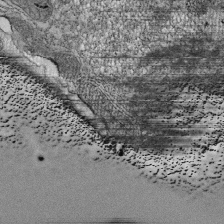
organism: Tetrahymena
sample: Cilia in tetrahymena